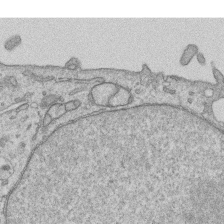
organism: Human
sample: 1205lu cells